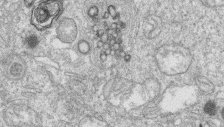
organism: Human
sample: HeLa cell HIV synapse